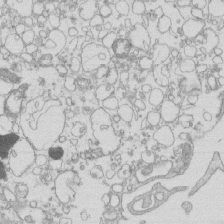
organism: Mouse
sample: Macrophages